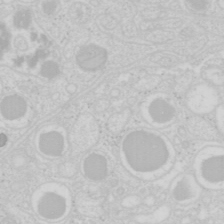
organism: Mouse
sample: Pancreas